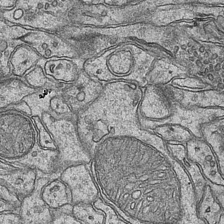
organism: Mouse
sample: CA1 Hippocampus